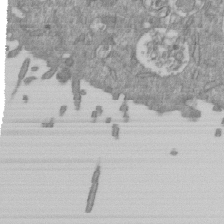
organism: Mouse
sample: ED-1 cell nuclei; centrioles